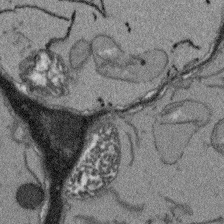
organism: Arabidopsis thaliana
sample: Root tip